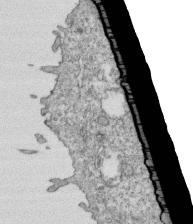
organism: Human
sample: HeLa cell HIV synapse